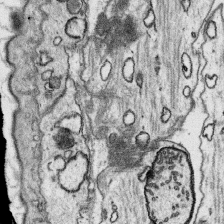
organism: Platynereis dumerilii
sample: Parapodia